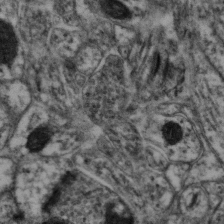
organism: Mouse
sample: Neocortex